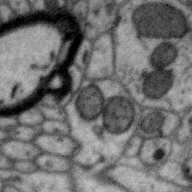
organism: Zebra finch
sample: Brain